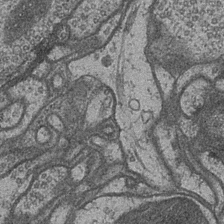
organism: Drosophila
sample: Optic medulla